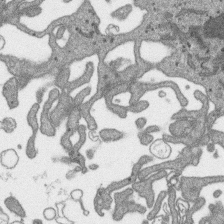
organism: Human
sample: Lung epithelial cells infected with SARS-CoV-2